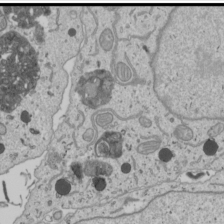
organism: Human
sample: Mitochondria in U2OS cells